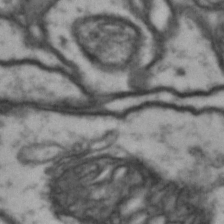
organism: Drosophila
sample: Brain